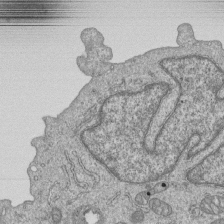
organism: Human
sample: MDA-MB-231 cells